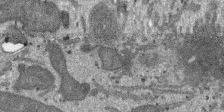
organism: Human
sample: Lung epithelial cells infected with SARS-CoV-2